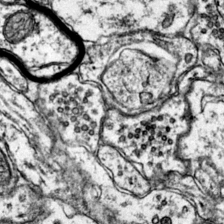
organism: Mouse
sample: Primary visual cortex